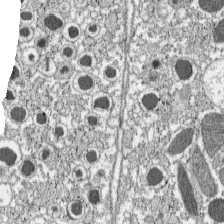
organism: C57BL Mouse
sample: Pancreatic islet